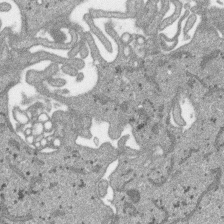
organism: Human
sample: Lung epithelial cells infected with SARS-CoV-2